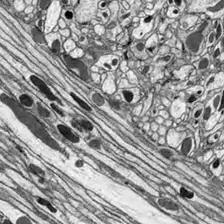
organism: Drosophila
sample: Optic lobe